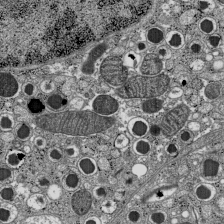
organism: C57BL Mouse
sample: Pancreatic islet